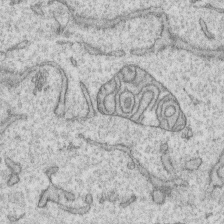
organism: Human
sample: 1205lu cells